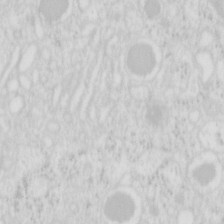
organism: Mouse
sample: Pancreas